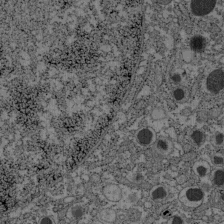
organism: C57BL Mouse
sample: Pancreatic islet